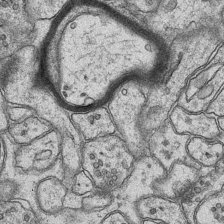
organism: Mouse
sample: CA1 Hippocampus